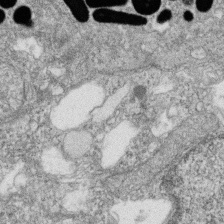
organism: Zebrafish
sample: Cilia; retinal pigment epithelium